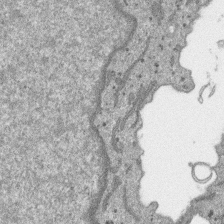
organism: Human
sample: Lung epithelial cells infected with SARS-CoV-2